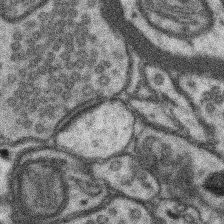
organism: Mouse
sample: Somatosensory cortex neuropil